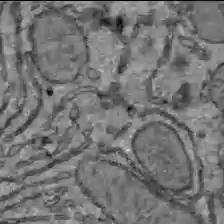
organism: C57BL Mouse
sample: Liver